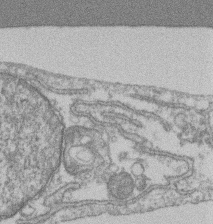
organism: Mouse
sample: T cell stromal cell synapse